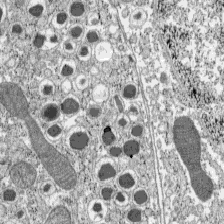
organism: C57BL Mouse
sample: Pancreatic islet